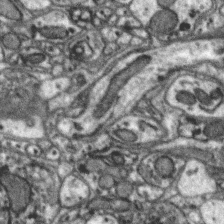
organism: Zebra finch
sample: Brain